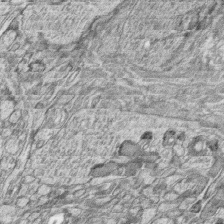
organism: Zebrafish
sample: synaptic ribbons in rod cells and cone cells